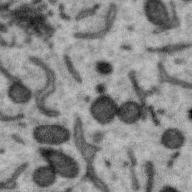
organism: Zebra finch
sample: Brain